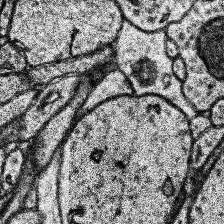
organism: Human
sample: Temporal Lobe